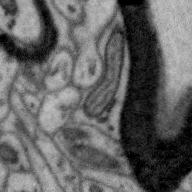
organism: Zebra finch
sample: Brain